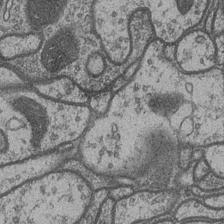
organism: Drosophila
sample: Optic medulla